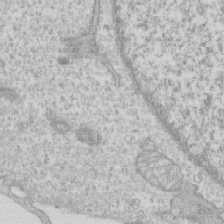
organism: Human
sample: CRL-1474